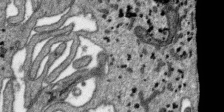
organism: Human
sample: Lung epithelial cells, uninfected (mock) control